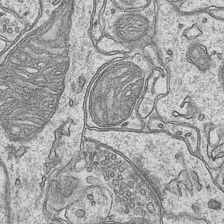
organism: Mouse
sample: CA1 Hippocampus